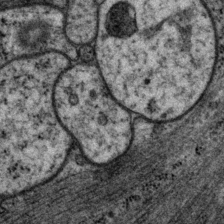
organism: P. pacificus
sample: Pharynx